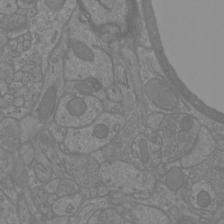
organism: Mouse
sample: Cortical neurons